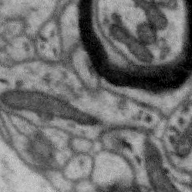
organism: Zebra finch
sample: Brain